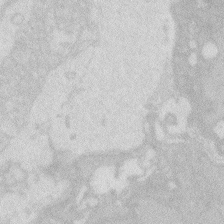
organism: Zebrafish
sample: Macrophage